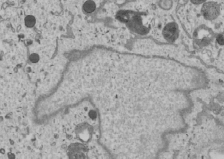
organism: Human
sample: Mitochondria in U2OS cells